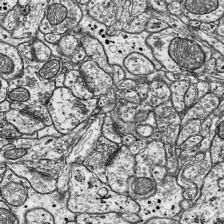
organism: Mouse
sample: Visual Cortex